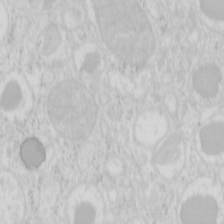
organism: Mouse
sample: Pancreas